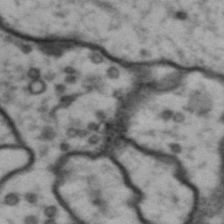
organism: Drosophila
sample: Brain